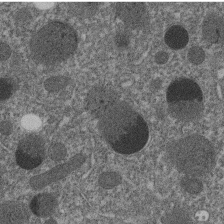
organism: C. elegans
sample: C. elegans embryo early stage